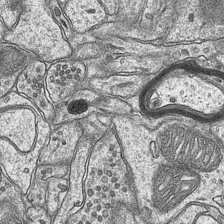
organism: Mouse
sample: CA1 Hippocampus